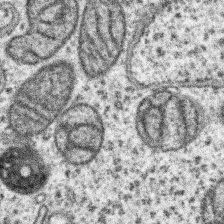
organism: Human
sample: HeLa cells